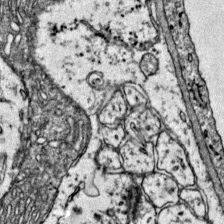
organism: Mouse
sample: Primary visual cortex